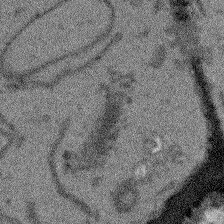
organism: Arabidopsis thaliana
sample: Root tip